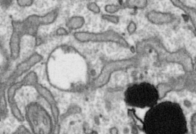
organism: Toxoplasma gondii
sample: Parasites in a vacuole inside a host cell